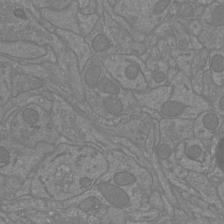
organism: Mouse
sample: Cortical neurons